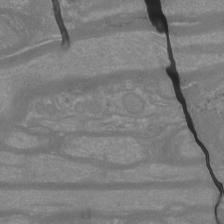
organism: Mouse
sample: Cortical neurons